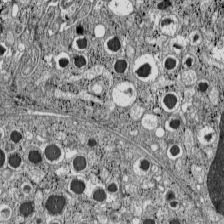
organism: C57BL Mouse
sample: Pancreatic islet